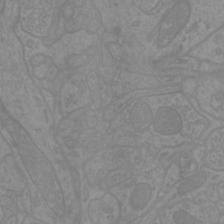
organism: Mouse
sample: Cortical neurons